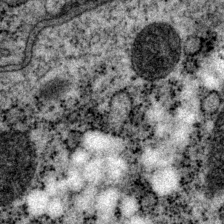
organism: P. pacificus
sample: Pharynx